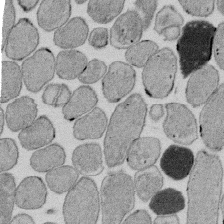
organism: E. coli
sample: Bacterial nucleoid